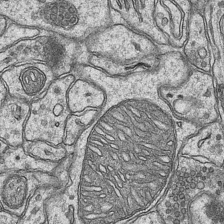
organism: Mouse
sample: CA1 Hippocampus